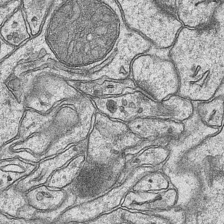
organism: Mouse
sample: CA1 Hippocampus